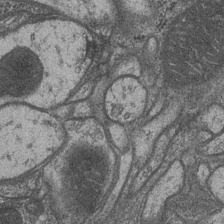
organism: Drosophila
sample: Optic medulla